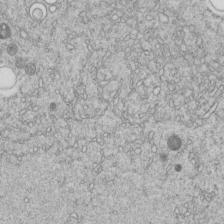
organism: C. elegans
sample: C. elegans embryo early stage